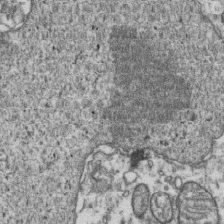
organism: Human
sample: Activated Jurkat CD4+ T cells